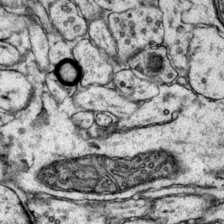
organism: Mouse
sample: Primary visual cortex